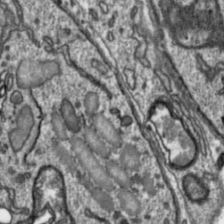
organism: Toxoplasma gondii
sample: Parasites in a vacuole inside a host cell